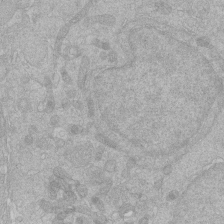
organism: Human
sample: Macrophage cells